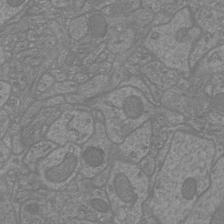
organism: Mouse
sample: Cortical neurons